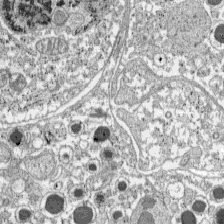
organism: C57BL Mouse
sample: Pancreatic islet